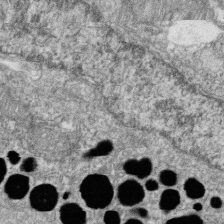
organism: Zebrafish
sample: Cilia; retinal pigment epithelium